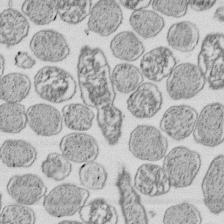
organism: E. coli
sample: Bacterial nucleoid